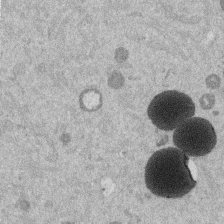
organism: Mouse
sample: Dividing mouse embryo 1 cell stage